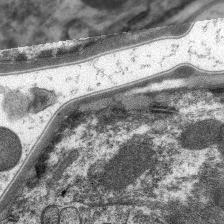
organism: C. elegans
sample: Pharynx